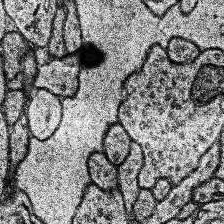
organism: Human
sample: Temporal Lobe